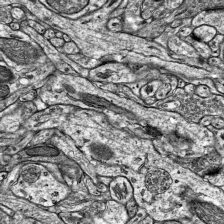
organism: Mouse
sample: Visual Cortex